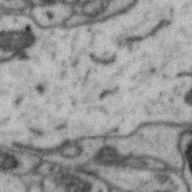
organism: Zebra finch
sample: Brain